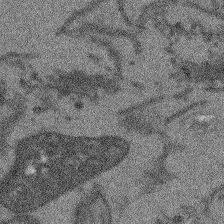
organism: Arabidopsis thaliana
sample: Root tip